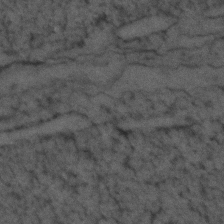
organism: Zebrafish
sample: Zebrafish embryo